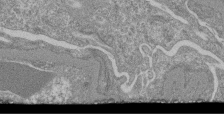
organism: Mouse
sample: Glomerulus